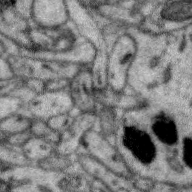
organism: Zebra finch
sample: Brain